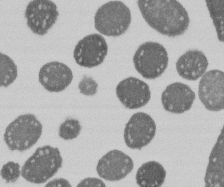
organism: E. coli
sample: Bacterial nucleoid